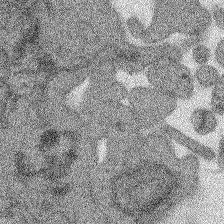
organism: Human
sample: HeLa cells